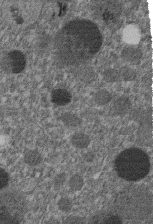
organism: C. elegans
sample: C. elegans embryo early stage